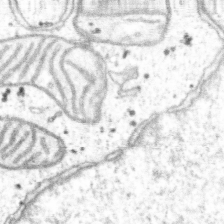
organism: Human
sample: HeLa cells